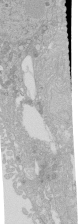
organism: Human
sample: Caco-2 cells